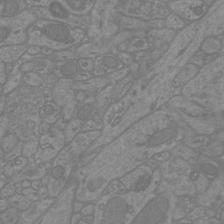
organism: Mouse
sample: Cortical neurons